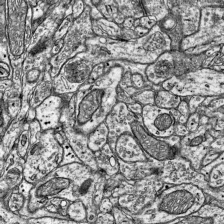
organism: Mouse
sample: Visual Cortex